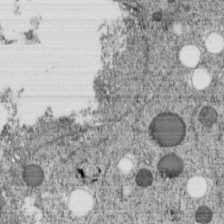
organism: C. elegans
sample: C. elegans embryo early stage